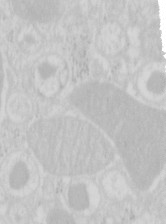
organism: Mouse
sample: Pancreas